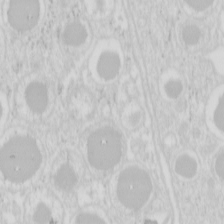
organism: Mouse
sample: Pancreas